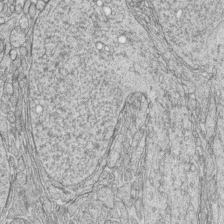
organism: Zebrafish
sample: synaptic ribbons in rod cells and cone cells